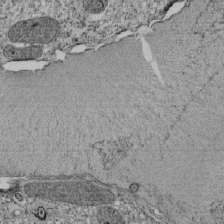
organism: Tetrahymena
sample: Cilia in tetrahymena